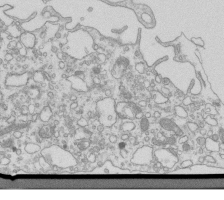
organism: Mouse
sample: Macrophages